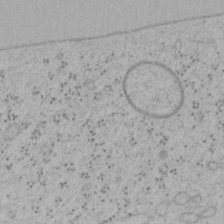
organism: Human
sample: HeLa cells